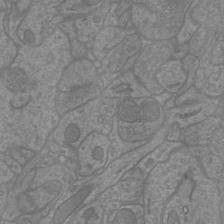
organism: Mouse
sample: Cortical neurons